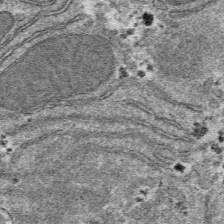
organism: Mouse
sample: Mouse hepatocytes